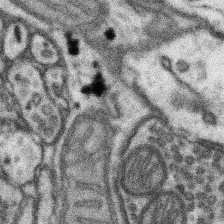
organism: Mouse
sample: Somatosensory cortex neuropil